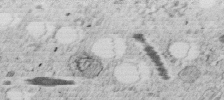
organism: C. elegans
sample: C. elegans embryo early stage